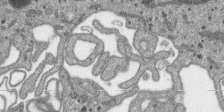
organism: Human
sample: Lung epithelial cells infected with SARS-CoV-2